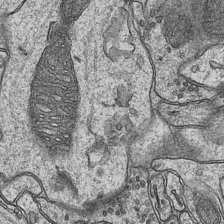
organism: Mouse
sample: CA1 Hippocampus